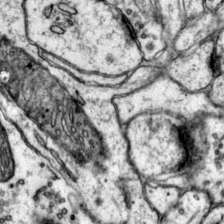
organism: Mouse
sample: Primary visual cortex